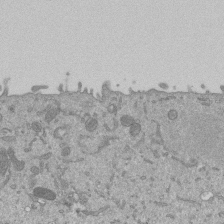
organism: Mouse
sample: ED-1 cell nuclei; centrioles